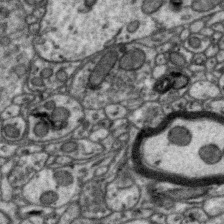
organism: Zebra finch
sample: Brain